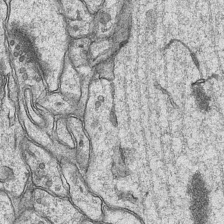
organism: Mouse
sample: CA1 Hippocampus